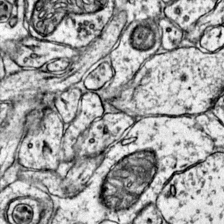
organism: Mouse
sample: Primary visual cortex